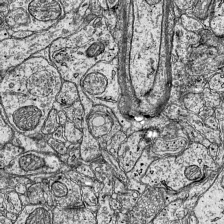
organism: Mouse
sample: Visual Cortex